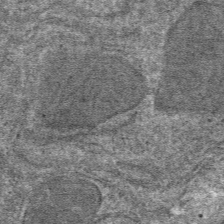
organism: Mouse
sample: Mouse hepatocytes